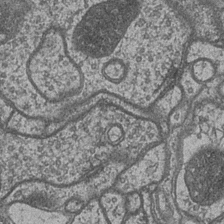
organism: Drosophila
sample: Optic medulla